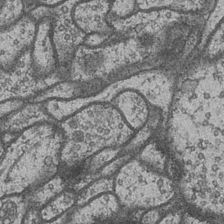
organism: Drosophila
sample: Optic medulla